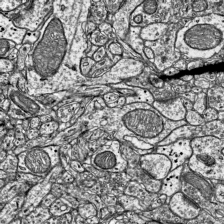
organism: Mouse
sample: Visual Cortex